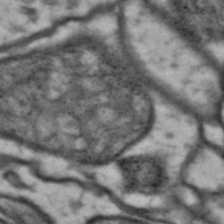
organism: Drosophila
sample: Brain